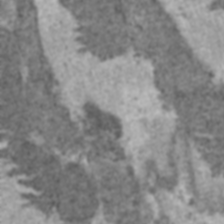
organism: C57BL Mouse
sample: Heart